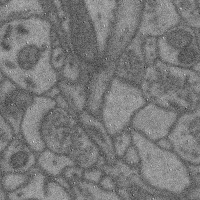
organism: Mouse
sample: Cerebral cortex